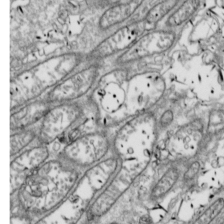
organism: Drosophila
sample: Cell division; meiosis; drosophila spermatocytes